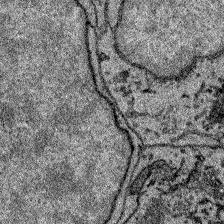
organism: Zebrafish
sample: Larval olfactory bulb